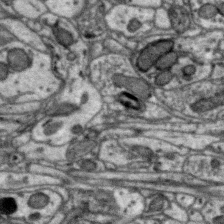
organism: Zebra finch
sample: Brain